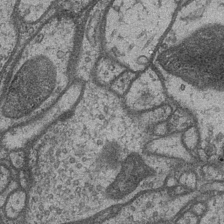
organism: Drosophila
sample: Optic medulla